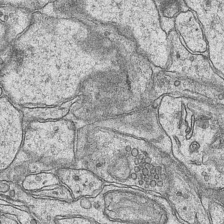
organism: Mouse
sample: CA1 Hippocampus